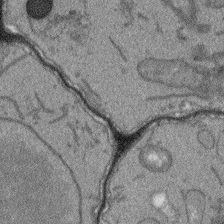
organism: Arabidopsis thaliana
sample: Root tip